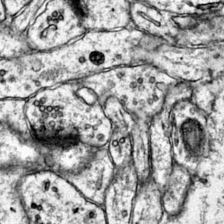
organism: Mouse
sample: Primary visual cortex